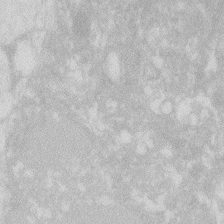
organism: Zebrafish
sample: Macrophage